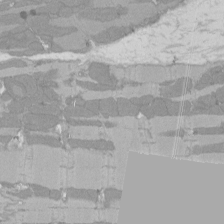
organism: Rat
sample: Left ventricle